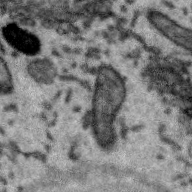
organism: Zebra finch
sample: Brain